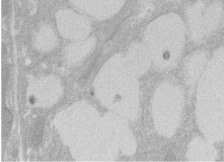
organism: Rat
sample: Salivary granule